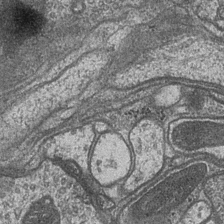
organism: Drosophila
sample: Optic medulla